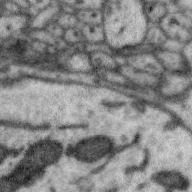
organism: Zebra finch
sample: Brain